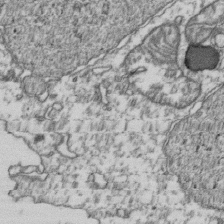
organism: Human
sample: Activated Jurkat CD4+ T cells